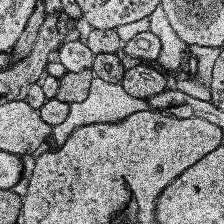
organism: Human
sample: Temporal Lobe